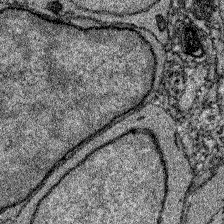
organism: Zebrafish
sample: Larval olfactory bulb